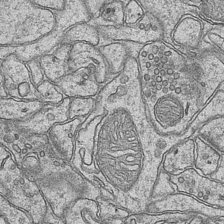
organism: Mouse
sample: CA1 Hippocampus